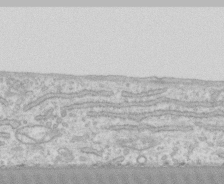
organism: Human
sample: CRL-1474